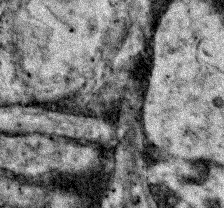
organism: Zebrafish